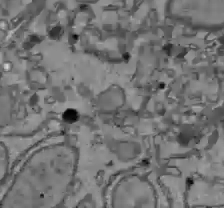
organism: C57BL Mouse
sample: Liver